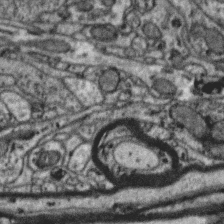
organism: Zebra finch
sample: Brain